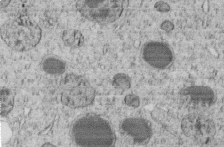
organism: C. elegans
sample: C. elegans embryo early stage